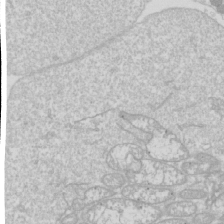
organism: Drosophila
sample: Cell division; meiosis; drosophila spermatocytes